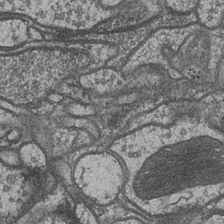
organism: Drosophila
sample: Optic medulla